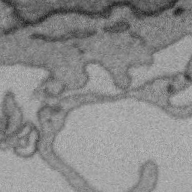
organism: Zebra finch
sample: Brain